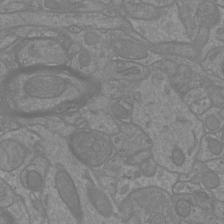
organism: Mouse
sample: Cortical neurons